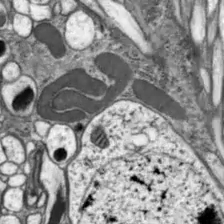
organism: Drosophila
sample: Optic lobe